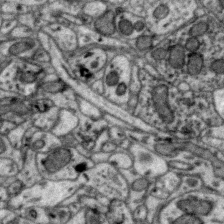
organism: Zebra finch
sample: Brain